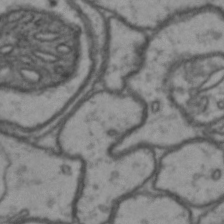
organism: Drosophila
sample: Brain